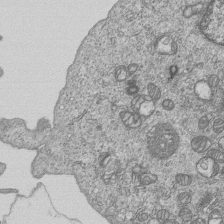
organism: Human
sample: MDA-MB-231 cells